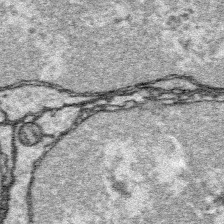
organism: Platynereis dumerilii